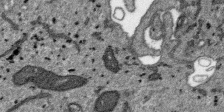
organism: Human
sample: Lung epithelial cells, uninfected (mock) control